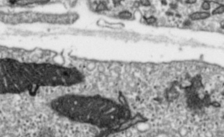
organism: Toxoplasma gondii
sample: Parasites in a vacuole inside a host cell